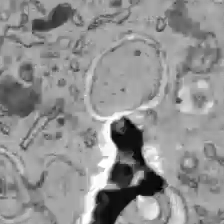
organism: C57BL Mouse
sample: Liver